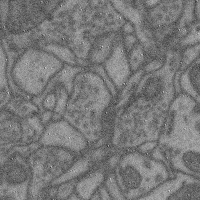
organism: Mouse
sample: Cerebral cortex